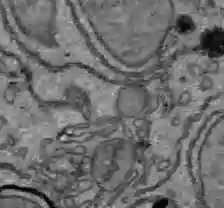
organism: C57BL Mouse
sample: Liver